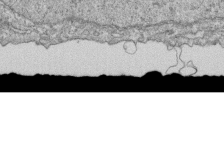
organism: Human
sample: HeLa cell HIV synapse